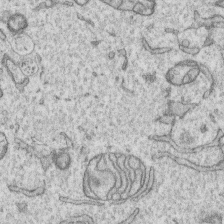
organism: Human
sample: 1205lu cells